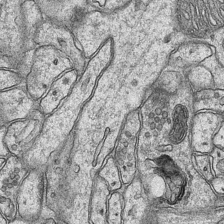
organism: Mouse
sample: CA1 Hippocampus